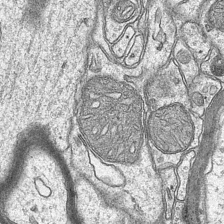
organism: Mouse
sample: CA1 Hippocampus